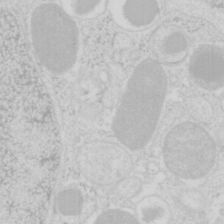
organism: Mouse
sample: Pancreas